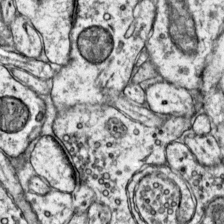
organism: Mouse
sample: Primary visual cortex